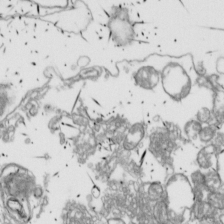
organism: Drosophila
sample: Cell division; meiosis; drosophila spermatocytes